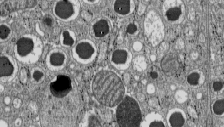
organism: C57BL Mouse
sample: Pancreatic islet